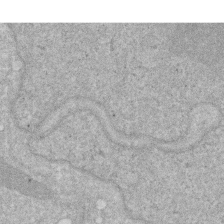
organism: Human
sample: HIV infected U937 cells